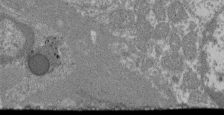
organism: Mouse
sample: Glomerulus